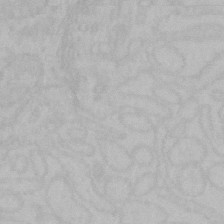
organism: Mouse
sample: Choroid plexus